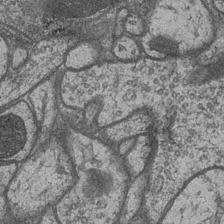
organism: Drosophila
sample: Optic medulla